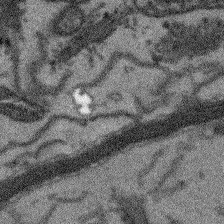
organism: Arabidopsis thaliana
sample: Root tip